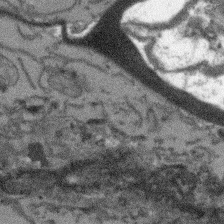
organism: Arabidopsis thaliana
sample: Root tip